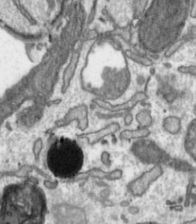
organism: Toxoplasma gondii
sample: Parasites in a vacuole inside a host cell